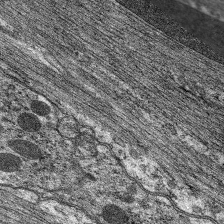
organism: C. elegans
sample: Pharynx